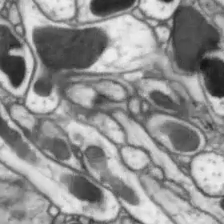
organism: Drosophila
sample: Optic lobe